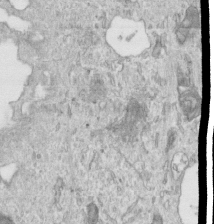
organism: Human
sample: Centriole in RPE cells